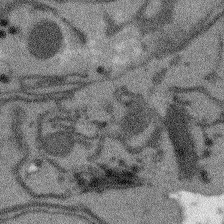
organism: Arabidopsis thaliana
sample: Root tip